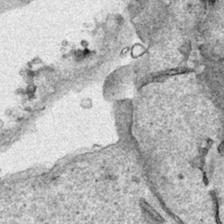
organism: Human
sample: Mitochondria in HCT116 cells